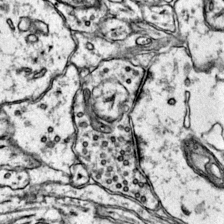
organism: Mouse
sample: Primary visual cortex